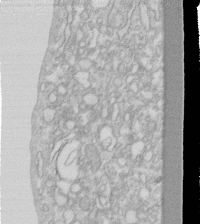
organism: Human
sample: Fibroblast cells